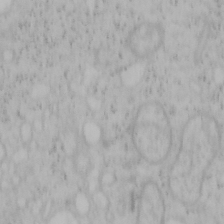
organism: Mouse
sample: OT-I killer T cells with ID8 ovarian cancer cells